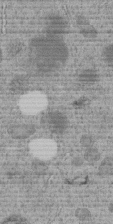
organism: C. elegans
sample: C. elegans embryo early stage